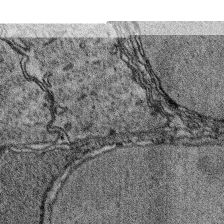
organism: Platynereis dumerilii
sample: Parapodia